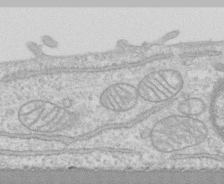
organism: Human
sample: CRL-1474